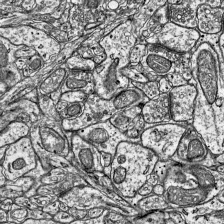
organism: Mouse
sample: Visual Cortex